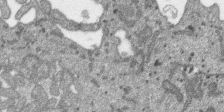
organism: Human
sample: Lung epithelial cells infected with SARS-CoV-2